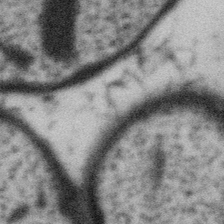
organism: Gemmata obscuriglobus